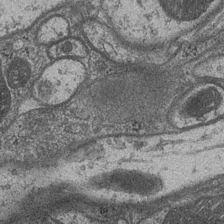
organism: Drosophila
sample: Optic medulla